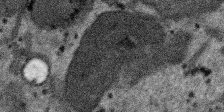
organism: Human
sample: Lung epithelial cells infected with SARS-CoV-2